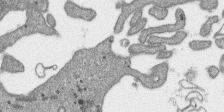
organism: Human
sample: Lung epithelial cells infected with SARS-CoV-2